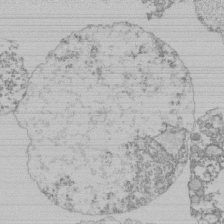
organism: Mouse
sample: Activated Pmel transgenic CD8+ T Cells